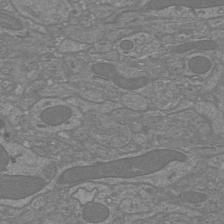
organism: Mouse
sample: Cortical neurons